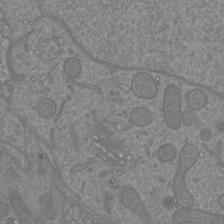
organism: Mouse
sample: Cortical neurons